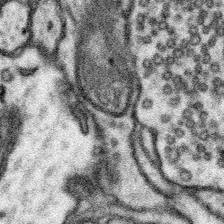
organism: Mouse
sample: Somatosensory cortex neuropil